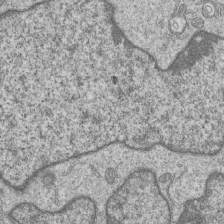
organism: Human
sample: MDA-MB-231 cells